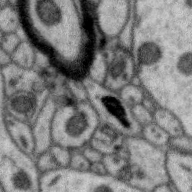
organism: Zebra finch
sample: Brain